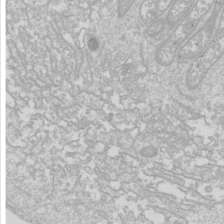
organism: Drosophila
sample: Cell division; meiosis; drosophila spermatocytes